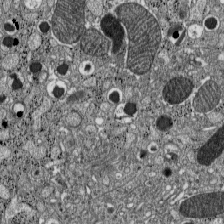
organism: C57BL Mouse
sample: Pancreatic islet